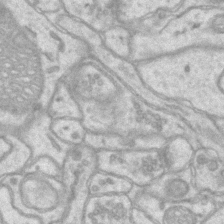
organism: Mouse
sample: CA1 Hippocampus